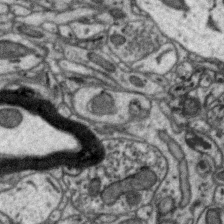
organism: Zebra finch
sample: Brain